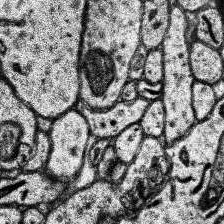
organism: Human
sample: Temporal Lobe